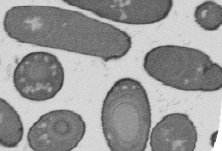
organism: B. subtilis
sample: Bacterial spore